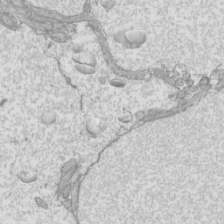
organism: Mouse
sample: Cilia; mouse epididymis